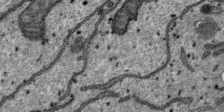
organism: Human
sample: Lung epithelial cells, uninfected (mock) control